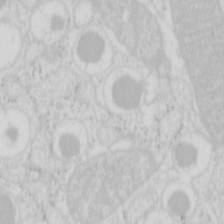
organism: Mouse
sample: Pancreas